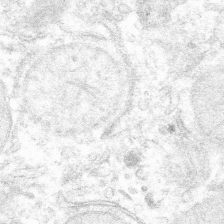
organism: Mouse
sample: Mouse hepatocytes